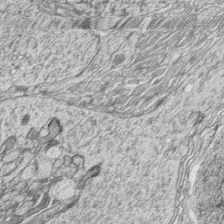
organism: Zebrafish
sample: synaptic ribbons in rod cells and cone cells